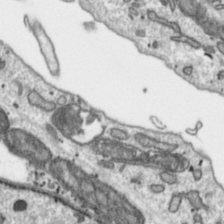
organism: Toxoplasma gondii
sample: Parasites in a vacuole inside a host cell